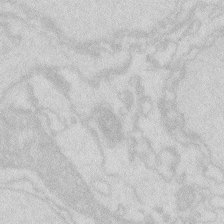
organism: Zebrafish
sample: Macrophage